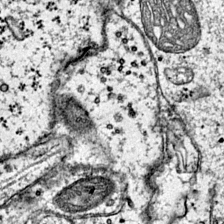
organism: Mouse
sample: Primary visual cortex